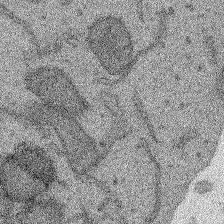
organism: Human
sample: HeLa cells